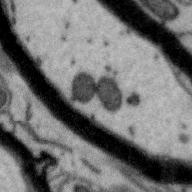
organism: Zebra finch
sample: Brain